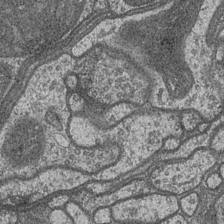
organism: Drosophila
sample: Optic medulla